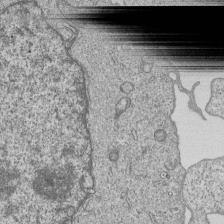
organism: Human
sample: MDA-MB-231 cells